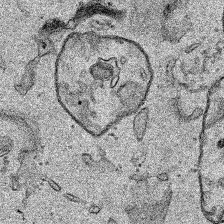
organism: Human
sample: Mitochondria in HCT116 cells